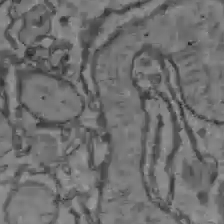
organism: C57BL Mouse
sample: Liver